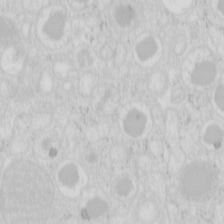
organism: Mouse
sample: Pancreas